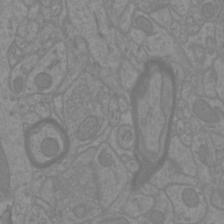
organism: Mouse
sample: Cortical neurons